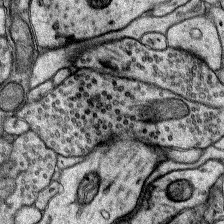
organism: Rat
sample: Hippocampus